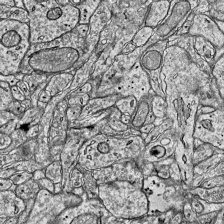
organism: Mouse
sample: Visual Cortex